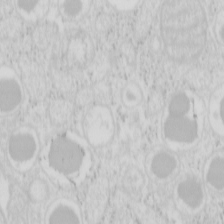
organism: Mouse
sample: Pancreas